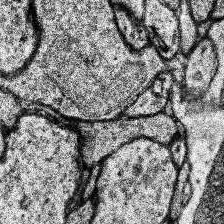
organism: Human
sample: Temporal Lobe